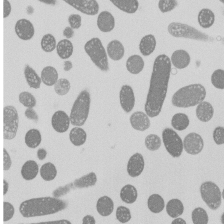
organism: E. coli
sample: Bacterial nucleoid